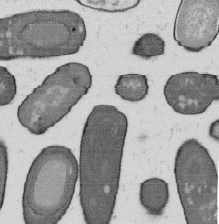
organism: B. subtilis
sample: Bacterial spore